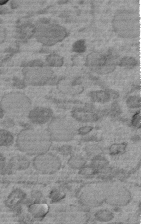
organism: C. elegans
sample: C. elegans embryo early stage